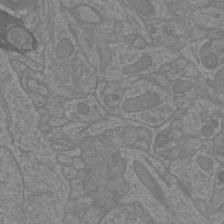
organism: Mouse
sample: Cortical neurons